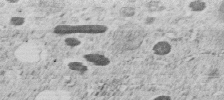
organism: C. elegans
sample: C. elegans embryo early stage